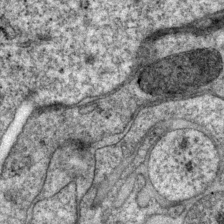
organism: P. pacificus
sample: Pharynx